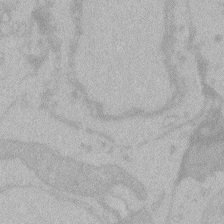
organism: Zebrafish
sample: Macrophage infected with Toxoplasma gondii